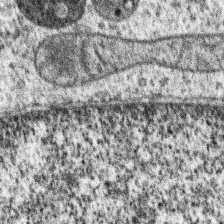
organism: Human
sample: HeLa cells